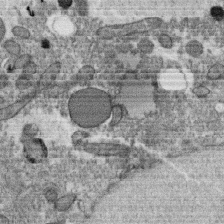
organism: C. elegans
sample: C. elegans oocyte; sperm cells